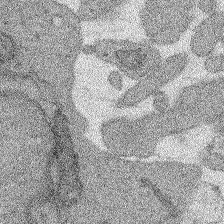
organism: Human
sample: HeLa cells